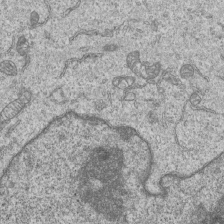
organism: Human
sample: MDA-MB-231 cells